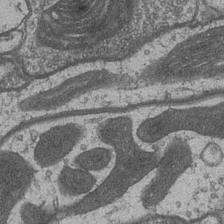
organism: Drosophila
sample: Optic medulla